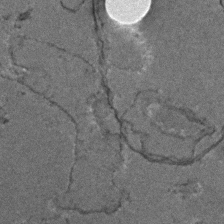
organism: Zebrafish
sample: Zebrafish embryo